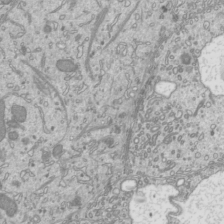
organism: Mouse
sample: Cilia; mouse epididymis